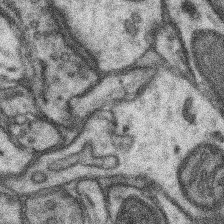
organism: Mouse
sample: Somatosensory cortex neuropil